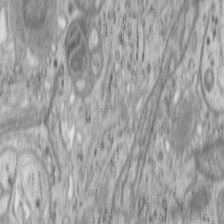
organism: Human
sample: HeLa cells